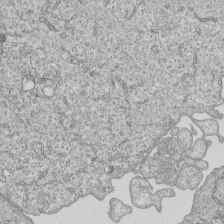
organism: Human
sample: MDA-MB-231 cells